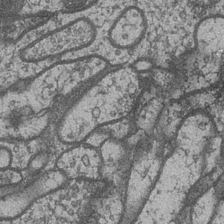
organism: Drosophila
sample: Optic medulla